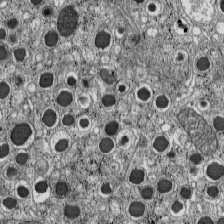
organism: C57BL Mouse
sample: Pancreatic islet